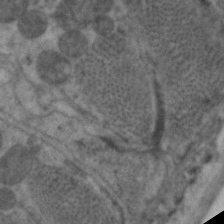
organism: C. elegans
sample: Pharynx